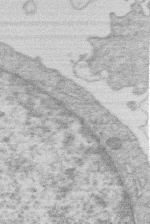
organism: Human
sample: Macrophage cells